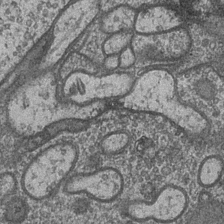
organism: Drosophila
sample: Optic medulla